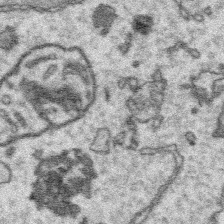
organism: Platynereis dumerilii